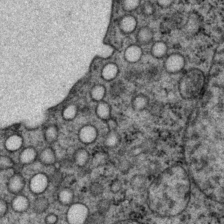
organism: P. pacificus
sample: Pharynx